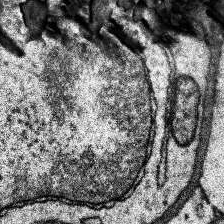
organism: Human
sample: Temporal Lobe